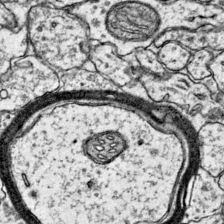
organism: Mouse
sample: Primary visual cortex